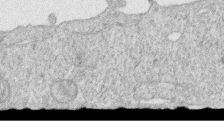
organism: Human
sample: HeLa cell HIV synapse